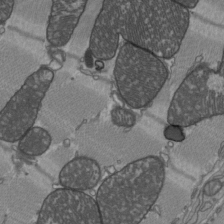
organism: C57BL Mouse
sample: Heart